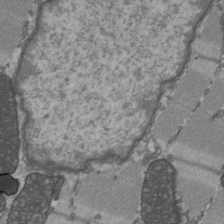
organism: C57BL Mouse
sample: Heart